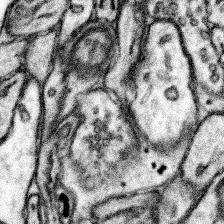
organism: Mouse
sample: Somatosensory cortex neuropil